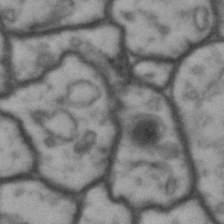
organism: Drosophila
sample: Brain